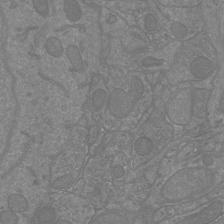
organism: Mouse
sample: Cortical neurons